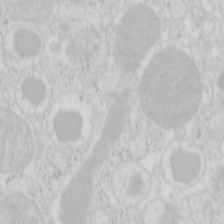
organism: Mouse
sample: Pancreas